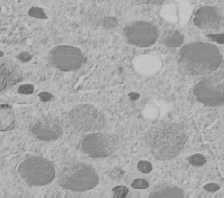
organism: C. elegans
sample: C. elegans embryo early stage